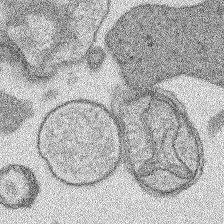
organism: Human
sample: HeLa cells